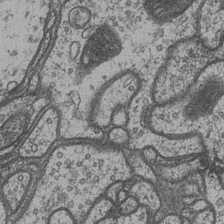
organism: Drosophila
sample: Optic medulla